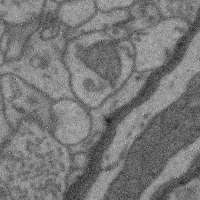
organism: Mouse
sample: Cerebral cortex